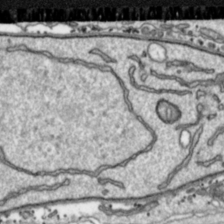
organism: Toxoplasma gondii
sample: Parasites in a vacuole inside a host cell